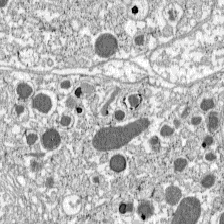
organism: C57BL Mouse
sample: Pancreatic islet